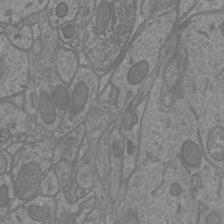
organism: Mouse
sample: Cortical neurons